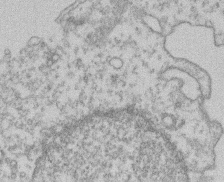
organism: Mouse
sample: T cell stromal cell synapse